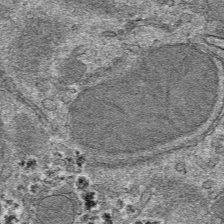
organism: Mouse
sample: Mouse hepatocytes